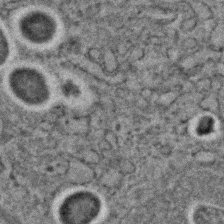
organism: C. elegans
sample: C. elegans embryo